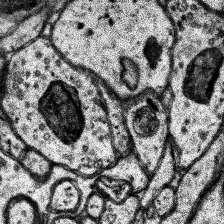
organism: Human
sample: Temporal Lobe